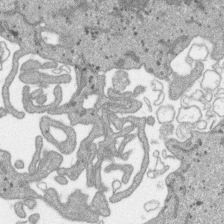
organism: Human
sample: Lung epithelial cells infected with SARS-CoV-2